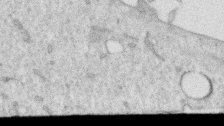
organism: Human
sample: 1205lu cells